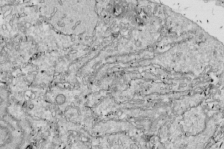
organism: Drosophila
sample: Cell division; meiosis; drosophila spermatocytes